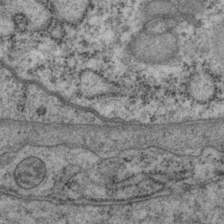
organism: P. pacificus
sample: Pharynx